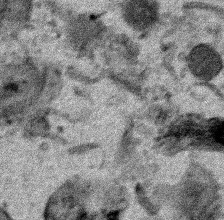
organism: Human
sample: Mitochondria in HCT116 cells